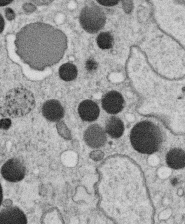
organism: C. elegans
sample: C. elegans oocyte; sperm cells